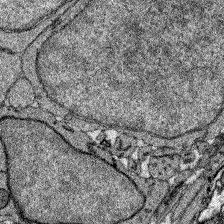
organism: Zebrafish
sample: Larval olfactory bulb